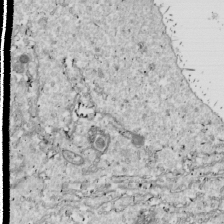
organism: Drosophila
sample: Cell division; meiosis; drosophila spermatocytes